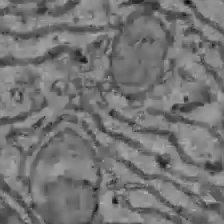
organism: C57BL Mouse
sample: Liver